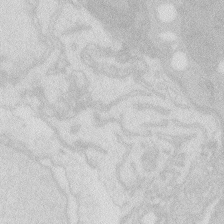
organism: Zebrafish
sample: Macrophage